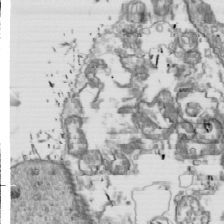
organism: Drosophila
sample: Cell division; meiosis; drosophila spermatocytes